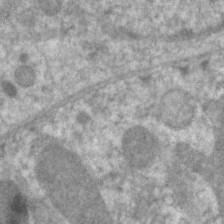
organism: C. elegans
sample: Pharynx